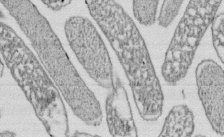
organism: E. coli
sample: Bacterial nucleoid